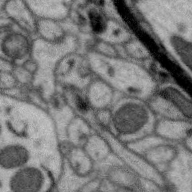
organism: Zebra finch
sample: Brain